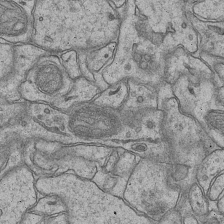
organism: Mouse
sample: CA1 Hippocampus